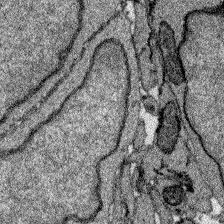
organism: Zebrafish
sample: Larval olfactory bulb